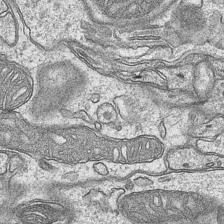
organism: Mouse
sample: CA1 Hippocampus